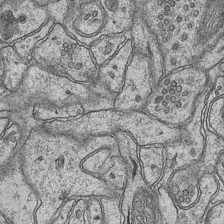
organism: Mouse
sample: CA1 Hippocampus